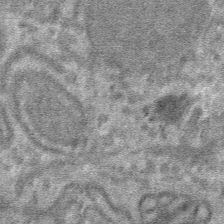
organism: Mouse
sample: Mouse hepatocytes